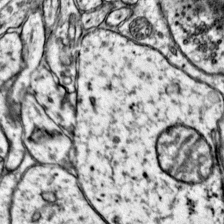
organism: Mouse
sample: Primary visual cortex